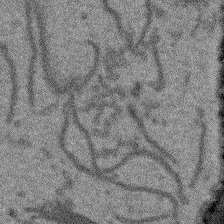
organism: Arabidopsis thaliana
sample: Root tip